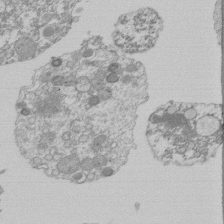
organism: Mouse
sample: Activated Pmel transgenic CD8+ T Cells